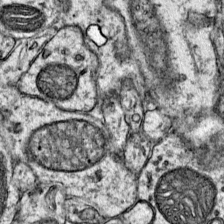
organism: Mouse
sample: Primary visual cortex